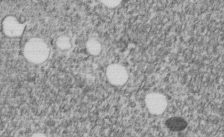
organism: C. elegans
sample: C. elegans embryo early stage